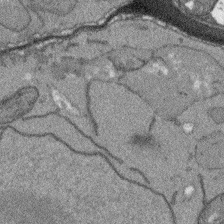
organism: Arabidopsis thaliana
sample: Root tip